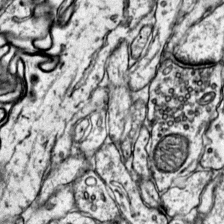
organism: Mouse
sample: Primary visual cortex